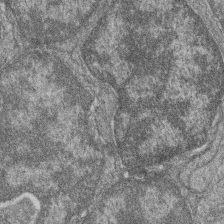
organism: Zebrafish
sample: Cilia; retinal pigment epithelium